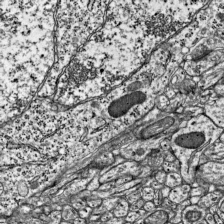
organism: Mouse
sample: Visual Cortex